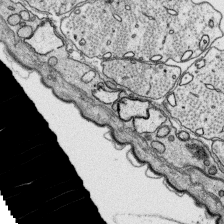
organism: Platynereis dumerilii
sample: Parapodia